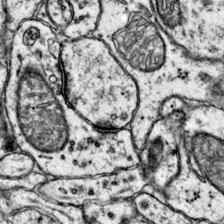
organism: Mouse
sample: Primary visual cortex